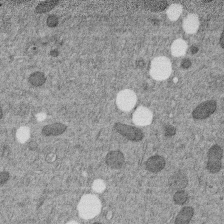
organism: C. elegans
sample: C. elegans embryo early stage